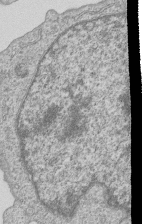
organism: Human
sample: MDA-MB-231 cells